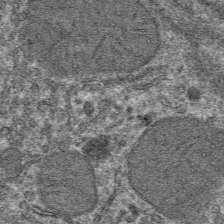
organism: Mouse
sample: Mouse hepatocytes